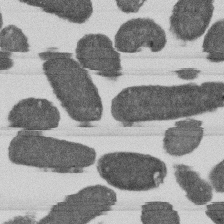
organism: E. coli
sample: Bacterial nucleoid